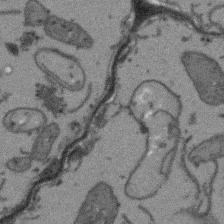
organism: Arabidopsis thaliana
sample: Root tip